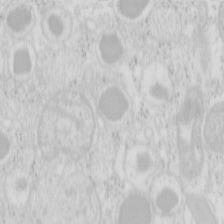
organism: Mouse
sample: Pancreas